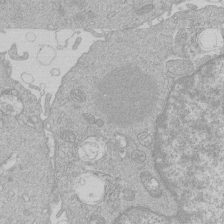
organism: Human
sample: Macrophage cells